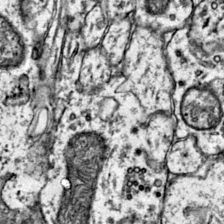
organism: Mouse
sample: Primary visual cortex